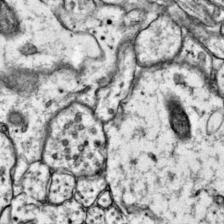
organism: Mouse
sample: Primary visual cortex